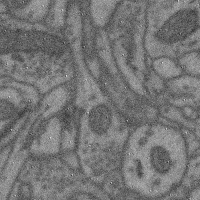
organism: Mouse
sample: Cerebral cortex